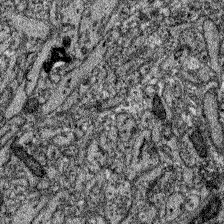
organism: Zebrafish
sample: Larval olfactory bulb